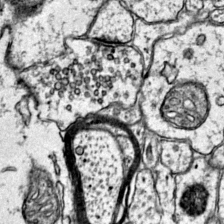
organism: Mouse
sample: Primary visual cortex